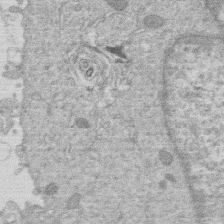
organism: Human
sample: Macrophage cells